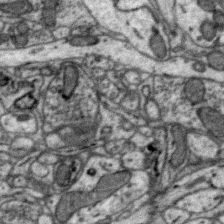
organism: Zebra finch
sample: Brain